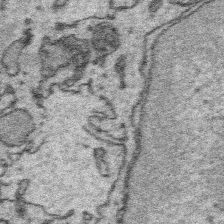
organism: Platynereis dumerilii